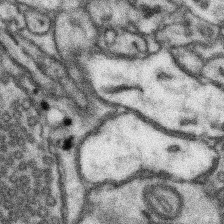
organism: Mouse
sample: Somatosensory cortex neuropil